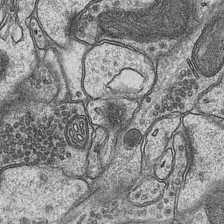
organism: Mouse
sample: CA1 Hippocampus